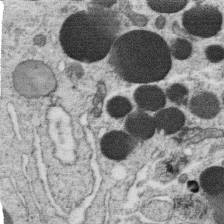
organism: C. elegans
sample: C. elegans oocyte; sperm cells